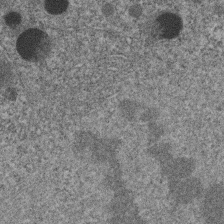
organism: C. elegans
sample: C. elegans embryo early stage